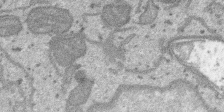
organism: Human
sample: Lung epithelial cells infected with SARS-CoV-2